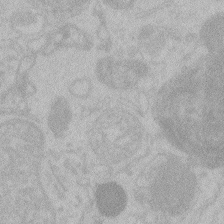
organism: Zebrafish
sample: Macrophage infected with Toxoplasma gondii